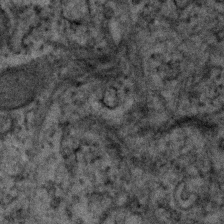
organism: Human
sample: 1205lu cells